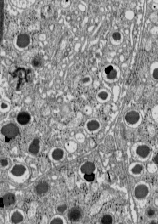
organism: C57BL Mouse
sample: Pancreatic islet